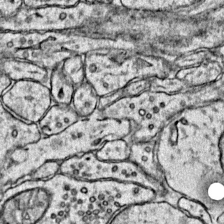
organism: Mouse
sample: Primary visual cortex